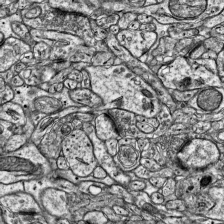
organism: Mouse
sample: Visual Cortex